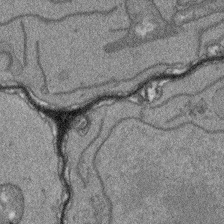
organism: Arabidopsis thaliana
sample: Root tip